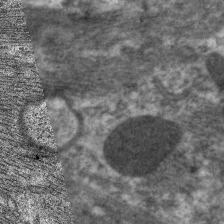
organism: C. elegans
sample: Pharynx